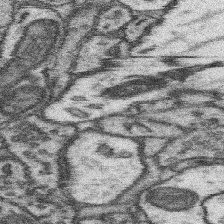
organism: Mouse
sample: Somatosensory cortex neuropil